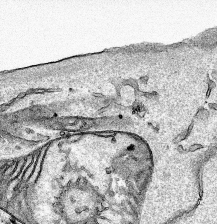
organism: Human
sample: Mitochondria in HCT116 cells